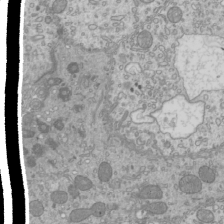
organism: Mouse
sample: Cilia; mouse epididymis